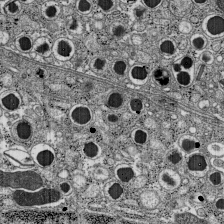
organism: C57BL Mouse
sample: Pancreatic islet